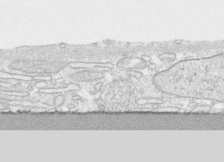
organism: Human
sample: CRL-1474